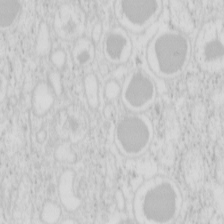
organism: Mouse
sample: Pancreas